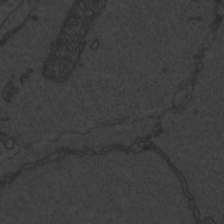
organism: Zebrafish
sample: Macrophage infected with Toxoplasma gondii